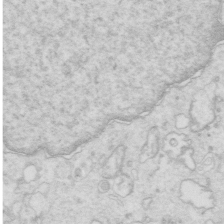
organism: Mouse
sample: Multiciliated cells